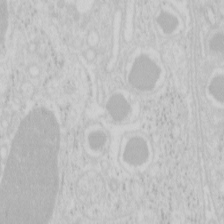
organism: Mouse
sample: Pancreas